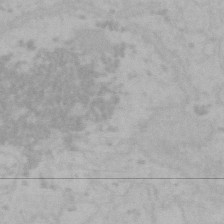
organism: Mouse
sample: Choroid plexus